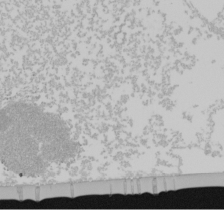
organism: Mouse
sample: Cancer cell death in ED-1 cells